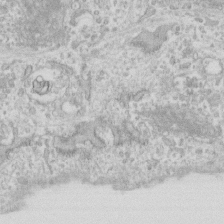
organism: Human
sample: Fibroblast cells